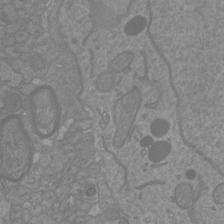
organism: Mouse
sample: Cortical neurons